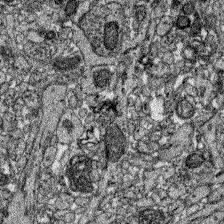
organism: Zebrafish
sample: Larval olfactory bulb